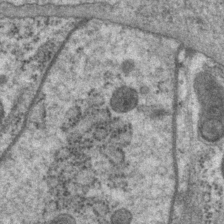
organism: P. pacificus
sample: Pharynx